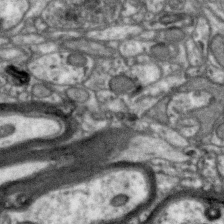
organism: Zebra finch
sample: Brain